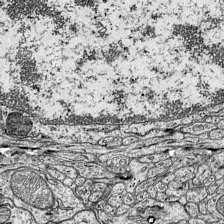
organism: Mouse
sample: Visual Cortex